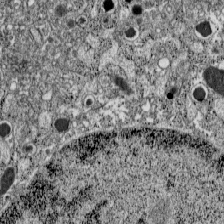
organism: C57BL Mouse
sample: Pancreatic islet